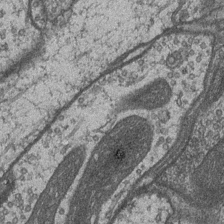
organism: Drosophila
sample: Optic medulla